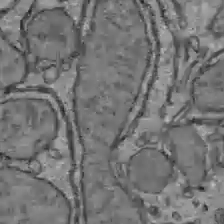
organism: C57BL Mouse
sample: Liver